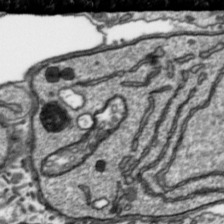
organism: Toxoplasma gondii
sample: Parasites in a vacuole inside a host cell